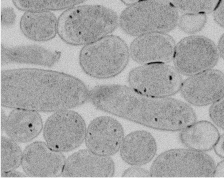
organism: E. coli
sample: Bacterial nucleoid